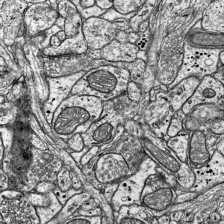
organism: Mouse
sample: Visual Cortex